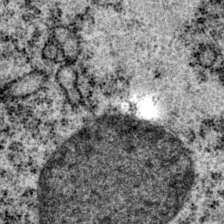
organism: P. pacificus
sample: Pharynx